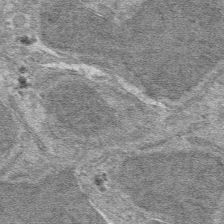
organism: Mouse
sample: Mouse hepatocytes